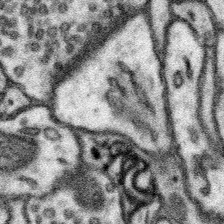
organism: Mouse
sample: Somatosensory cortex neuropil